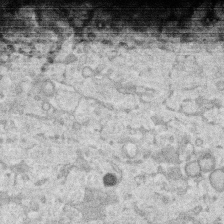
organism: Human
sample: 1205lu cells